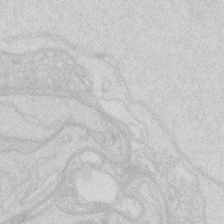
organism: Zebrafish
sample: Macrophage